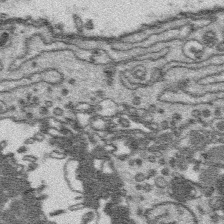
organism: Platynereis dumerilii